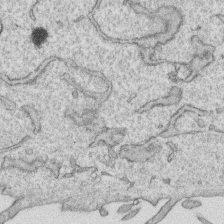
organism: Human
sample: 1205lu cells